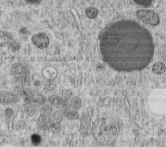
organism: C. elegans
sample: C. elegans embryo early stage